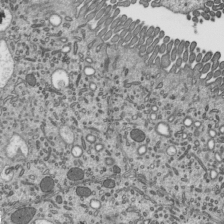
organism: Mouse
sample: Mouse epididymis efferent ductule cilia